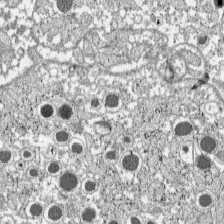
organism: C57BL Mouse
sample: Pancreatic islet